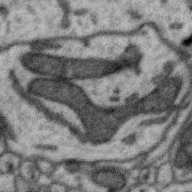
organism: Zebra finch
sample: Brain